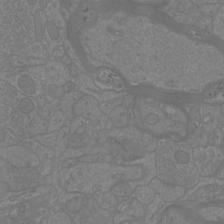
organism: Mouse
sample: Cortical neurons